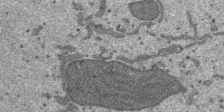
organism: Human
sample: Lung epithelial cells infected with SARS-CoV-2